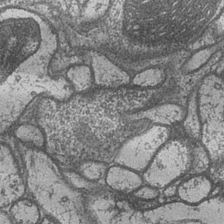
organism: Drosophila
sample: Optic medulla